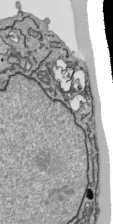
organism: Human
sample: Mitochondria in HCT116 cells